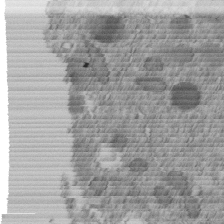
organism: C. elegans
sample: C. elegans embryo early stage